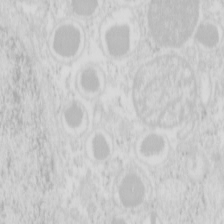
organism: Mouse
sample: Pancreas